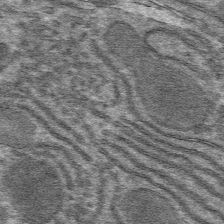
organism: Mouse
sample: Mouse hepatocytes